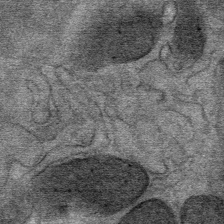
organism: Mouse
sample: Mouse Salivary gland